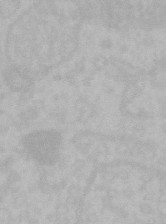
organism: Mouse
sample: Choroid plexus